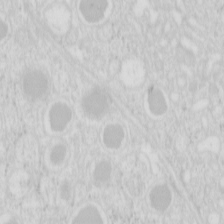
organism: Mouse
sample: Pancreas